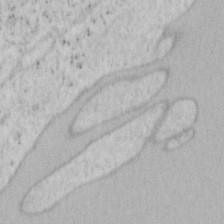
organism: Human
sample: HeLa cells